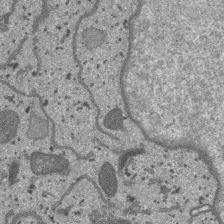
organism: Human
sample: Lung epithelial cells infected with SARS-CoV-2